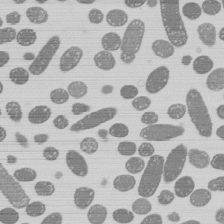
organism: E. coli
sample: Bacterial nucleoid